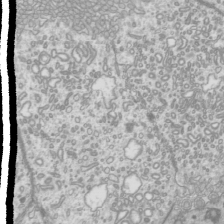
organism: Mouse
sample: Cilia; mouse epididymis